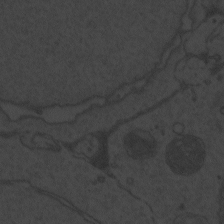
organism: Zebrafish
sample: Macrophage infected with Toxoplasma gondii